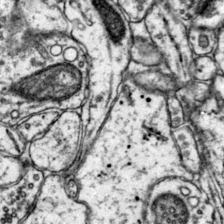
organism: Mouse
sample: Primary visual cortex